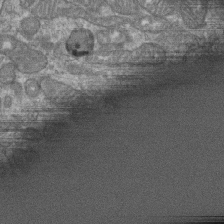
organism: Human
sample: Retinal organoid Rod and Cone cells